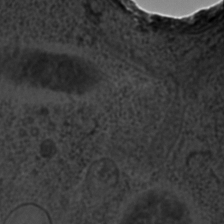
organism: C. elegans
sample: C. elegans embryo